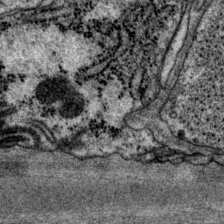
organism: P. pacificus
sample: Pharynx